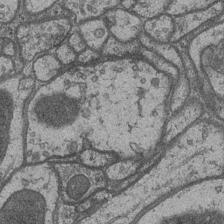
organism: Drosophila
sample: Optic medulla